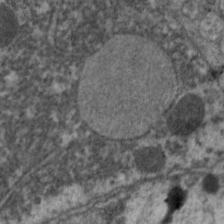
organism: C. elegans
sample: Pharynx